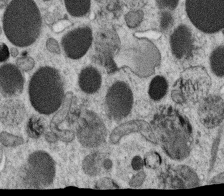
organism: C. elegans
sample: C. elegans oocyte; sperm cells